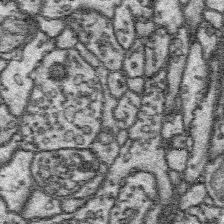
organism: Platynereis dumerilii